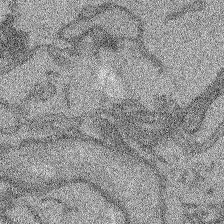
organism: Human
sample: HeLa cells